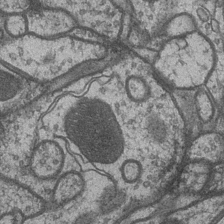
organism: Drosophila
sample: Optic medulla